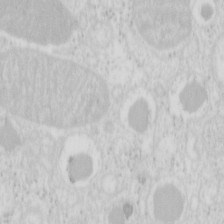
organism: Mouse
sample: Pancreas